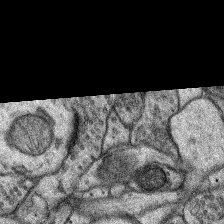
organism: Rat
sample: Hippocampus